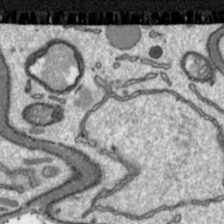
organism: Toxoplasma gondii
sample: Parasites in a vacuole inside a host cell